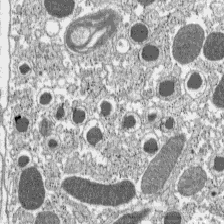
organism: C57BL Mouse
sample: Pancreatic islet